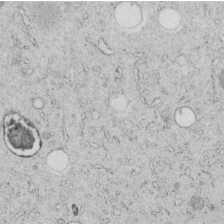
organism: C. elegans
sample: C. elegans embryo early stage